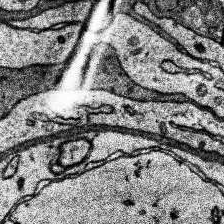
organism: Human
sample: Temporal Lobe